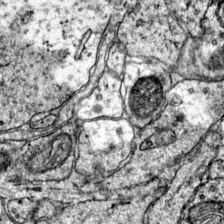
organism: Mouse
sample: Primary visual cortex